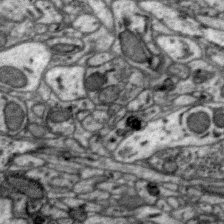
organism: Zebra finch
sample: Brain